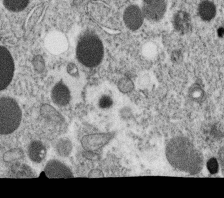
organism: C. elegans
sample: C. elegans oocyte; sperm cells